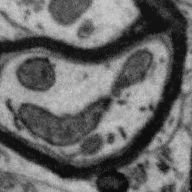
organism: Zebra finch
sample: Brain